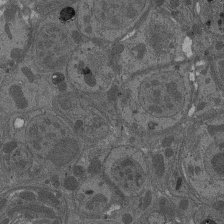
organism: Drosophila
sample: Antenna